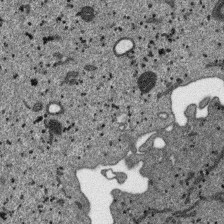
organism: Human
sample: Lung epithelial cells infected with SARS-CoV-2